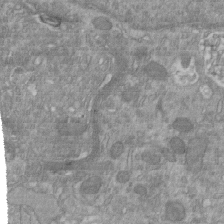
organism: Mouse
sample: ED-1 cell nuclei; centrioles